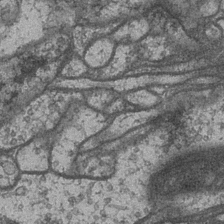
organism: Drosophila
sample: Optic medulla